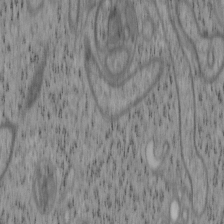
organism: Human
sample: HeLa cells